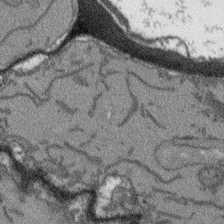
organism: Arabidopsis thaliana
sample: Root tip